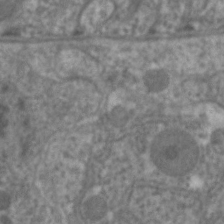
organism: C. elegans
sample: Pharynx